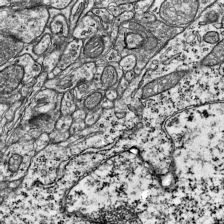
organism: Mouse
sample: Visual Cortex